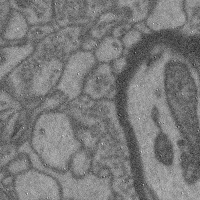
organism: Mouse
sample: Cerebral cortex